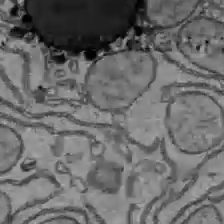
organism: C57BL Mouse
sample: Liver